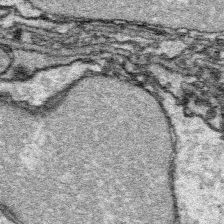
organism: Platynereis dumerilii